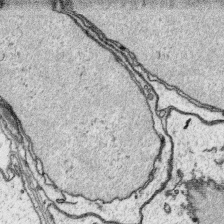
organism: Platynereis dumerilii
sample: Parapodia